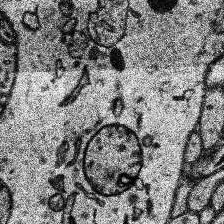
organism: Human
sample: Temporal Lobe